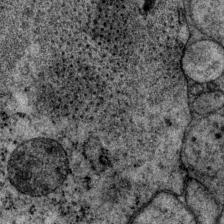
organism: P. pacificus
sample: Pharynx